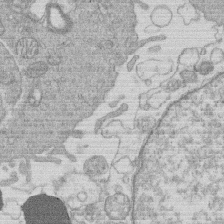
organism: Human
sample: Macrophage cells